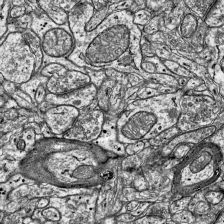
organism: Mouse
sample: Visual Cortex